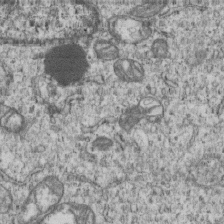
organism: Human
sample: MDA-MB-231 cells